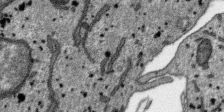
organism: Human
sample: Lung epithelial cells, uninfected (mock) control